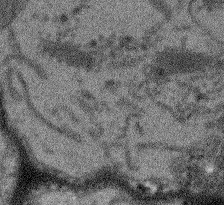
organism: Arabidopsis thaliana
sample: Root tip